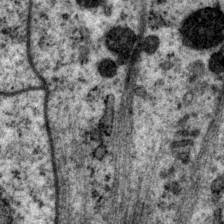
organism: P. pacificus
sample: Pharynx